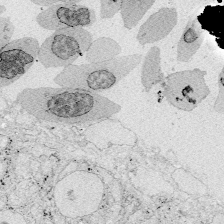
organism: Zebrafish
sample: Whole-Brain